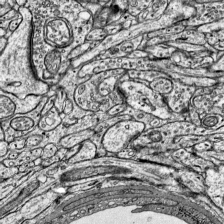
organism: Mouse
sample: Visual Cortex